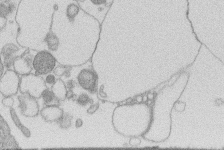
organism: Human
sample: Macrophage cells